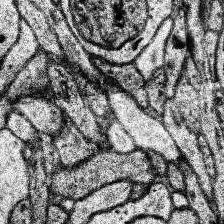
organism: Human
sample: Temporal Lobe